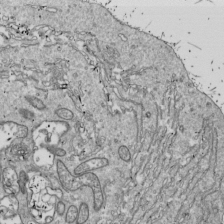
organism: Drosophila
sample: Cell division; meiosis; drosophila spermatocytes